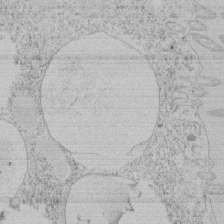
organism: Tetrahymena